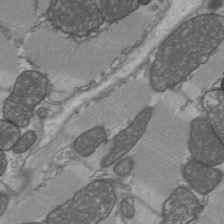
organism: C57BL Mouse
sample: Heart